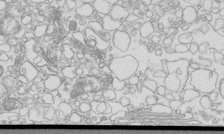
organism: Mouse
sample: Macrophages